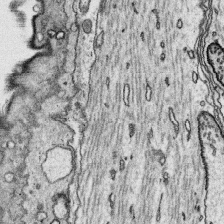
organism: Platynereis dumerilii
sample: Parapodia